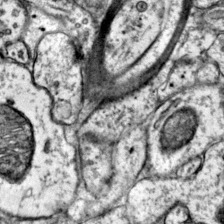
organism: Mouse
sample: Primary visual cortex